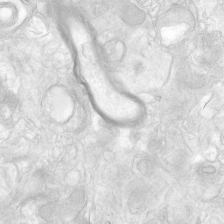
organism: Human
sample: Neocortex